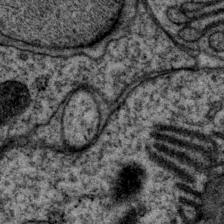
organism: P. pacificus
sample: Pharynx